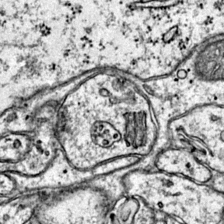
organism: Mouse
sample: Primary visual cortex